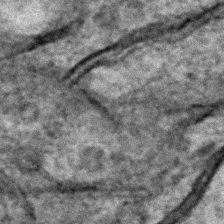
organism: C. elegans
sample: C. elegans embryo